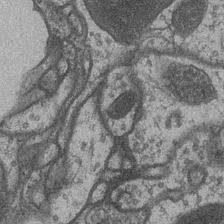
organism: Drosophila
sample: Optic medulla